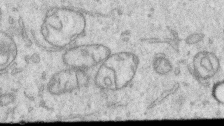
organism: Human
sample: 1205lu cells